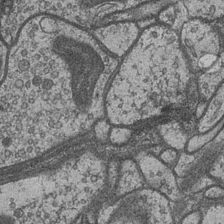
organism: Drosophila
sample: Optic medulla